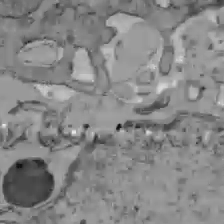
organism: C57BL Mouse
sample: Liver